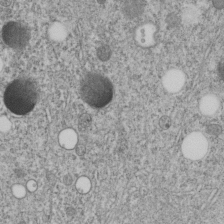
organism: C. elegans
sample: C. elegans embryo early stage